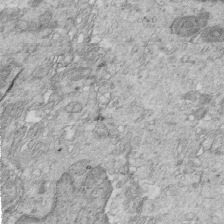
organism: Mouse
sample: Multiciliated cells